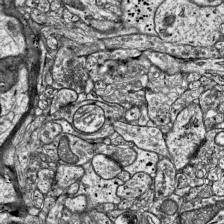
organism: Mouse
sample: Visual Cortex